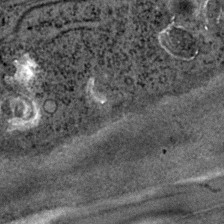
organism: C. elegans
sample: C. elegans embryo